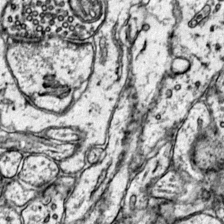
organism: Mouse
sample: Primary visual cortex